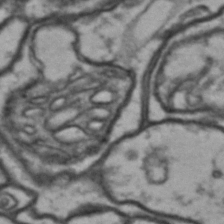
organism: Drosophila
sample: Brain